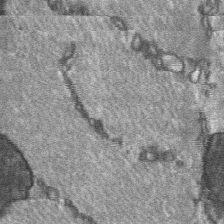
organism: C57BL Mouse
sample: Soleus